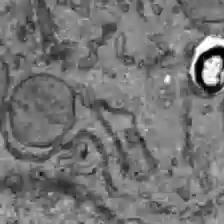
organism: C57BL Mouse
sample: Liver